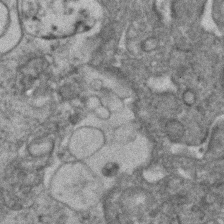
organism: Human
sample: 1205lu cells